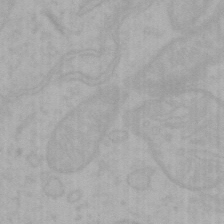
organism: Mouse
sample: Choroid plexus